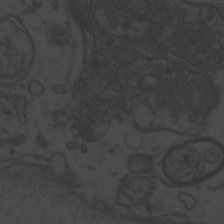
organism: Zebrafish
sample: Macrophage infected with Toxoplasma gondii